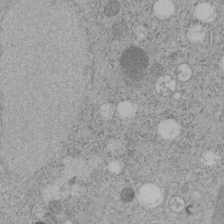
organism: C. elegans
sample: C. elegans embryo early stage